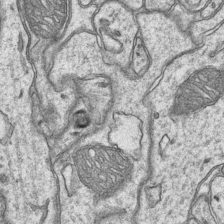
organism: Mouse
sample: CA1 Hippocampus